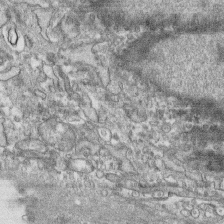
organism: Human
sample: CRL-1474